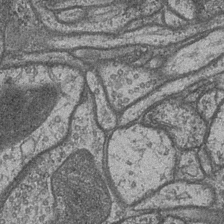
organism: Drosophila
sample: Optic medulla